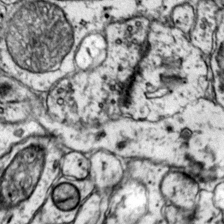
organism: Mouse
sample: Primary visual cortex